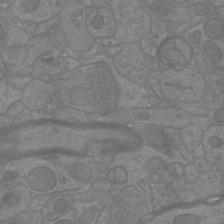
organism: Mouse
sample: Cortical neurons